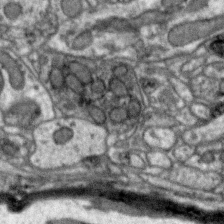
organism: Zebra finch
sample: Brain